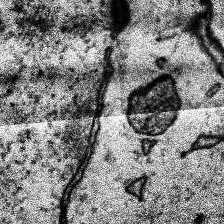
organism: Human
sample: Temporal Lobe